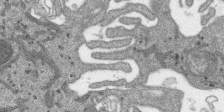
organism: Human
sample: Lung epithelial cells infected with SARS-CoV-2